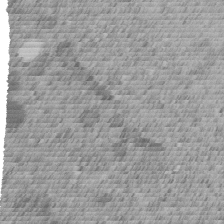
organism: C. elegans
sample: C. elegans embryo early stage